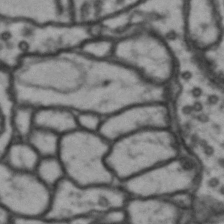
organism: Drosophila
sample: Brain